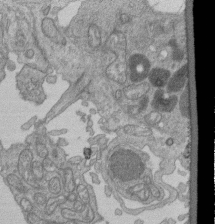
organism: Human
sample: Retinal organoid Rod and Cone cells